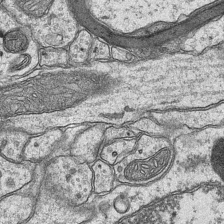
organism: Mouse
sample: CA1 Hippocampus